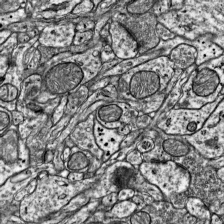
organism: Mouse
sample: Visual Cortex